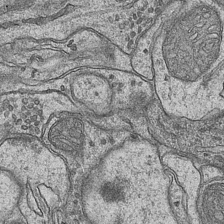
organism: Mouse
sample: CA1 Hippocampus